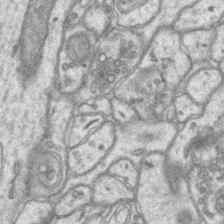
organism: Mouse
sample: CA1 Hippocampus